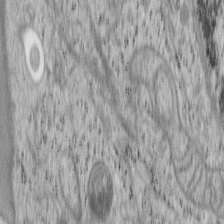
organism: Human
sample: HeLa cells